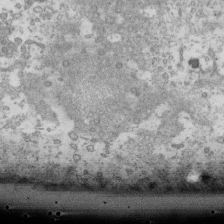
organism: Human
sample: Activated Jurkat CD4+ T cells